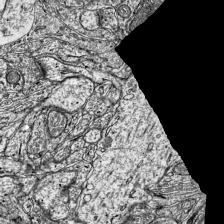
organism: Mouse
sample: Visual Cortex